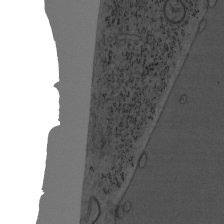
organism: Mouse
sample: OT-I killer T cells with ID8 ovarian cancer cells